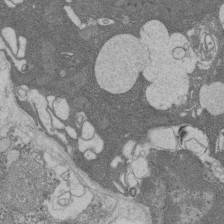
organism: Rat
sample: Salivary granule